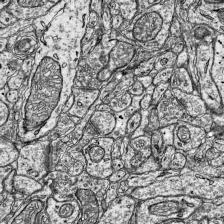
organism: Mouse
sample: Visual Cortex